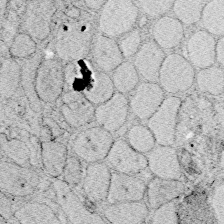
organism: Zebrafish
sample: Whole-Brain